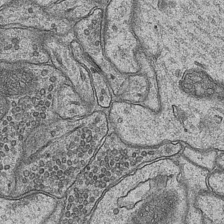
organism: Mouse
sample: CA1 Hippocampus